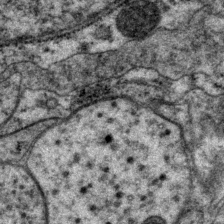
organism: P. pacificus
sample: Pharynx